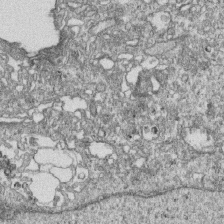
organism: Human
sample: HeLa cell HIV synapse